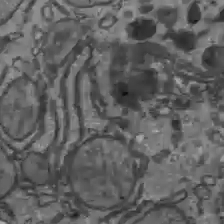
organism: C57BL Mouse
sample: Liver